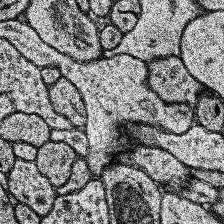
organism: Human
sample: Temporal Lobe